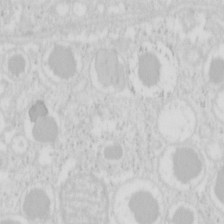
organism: Mouse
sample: Pancreas